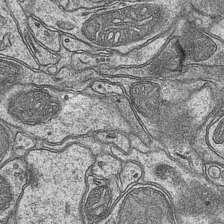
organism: Mouse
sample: CA1 Hippocampus